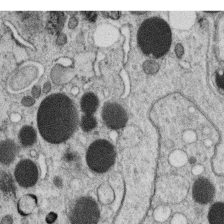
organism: C. elegans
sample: C. elegans oocyte; sperm cells